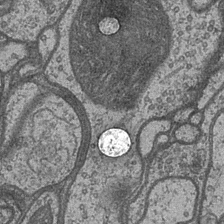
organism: Drosophila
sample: Optic medulla